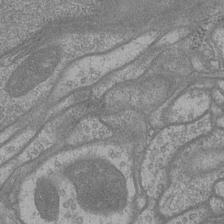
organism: Drosophila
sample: Optic medulla